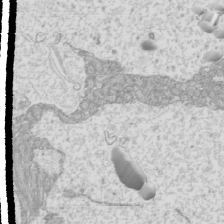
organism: Mouse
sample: Cilia; mouse epididymis